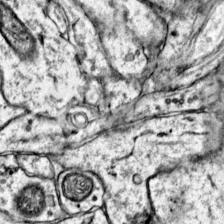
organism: Mouse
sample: Primary visual cortex